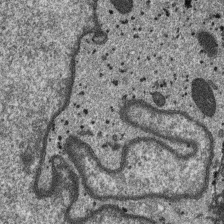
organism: Human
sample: Lung epithelial cells infected with SARS-CoV-2